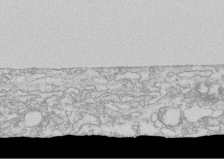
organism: Human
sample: CRL-1474